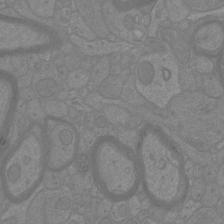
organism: Mouse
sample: Cortical neurons